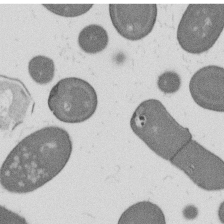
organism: B. subtilis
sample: Bacterial spore